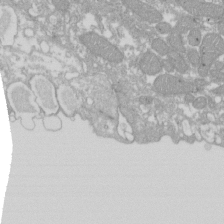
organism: Xenopus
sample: Cilia; centrioles in frog embryo cells